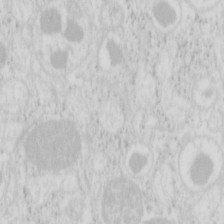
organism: Mouse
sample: Pancreas